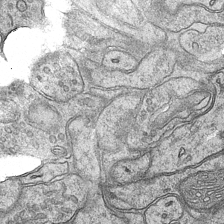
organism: Mouse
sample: CA1 Hippocampus